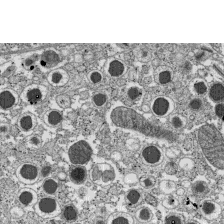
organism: C57BL Mouse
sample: Pancreatic islet